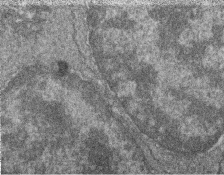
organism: Zebrafish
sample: Cilia; retinal pigment epithelium